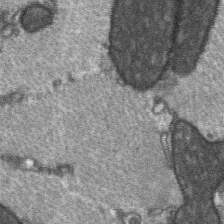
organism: C57BL Mouse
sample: Soleus